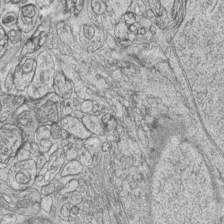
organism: Zebrafish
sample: synaptic ribbons in rod cells and cone cells